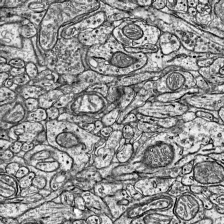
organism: Mouse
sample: Visual Cortex